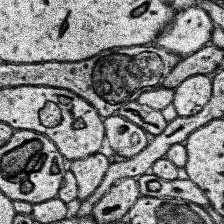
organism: Human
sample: Temporal Lobe